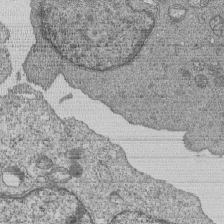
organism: Human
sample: MDA-MB-231 cells